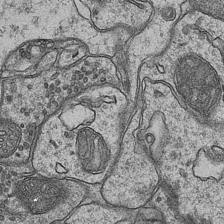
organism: Mouse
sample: CA1 Hippocampus